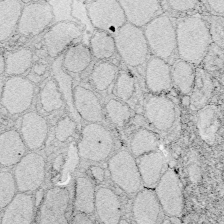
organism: Zebrafish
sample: Whole-Brain